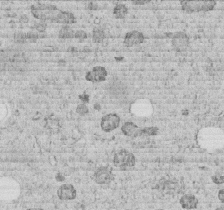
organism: C. elegans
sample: C. elegans embryo early stage